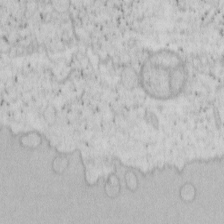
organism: Human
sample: HeLa cells